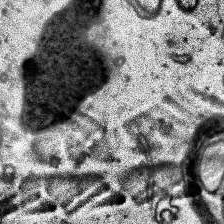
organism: Human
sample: Temporal Lobe